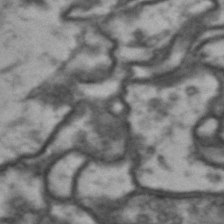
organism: Drosophila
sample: Brain